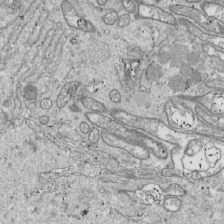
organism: Drosophila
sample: Cell division; meiosis; drosophila spermatocytes